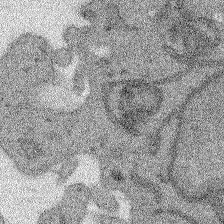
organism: Human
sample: HeLa cells